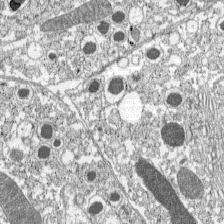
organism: C57BL Mouse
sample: Pancreatic islet